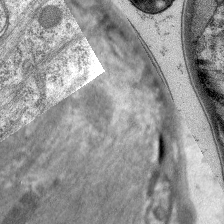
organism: C. elegans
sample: Pharynx